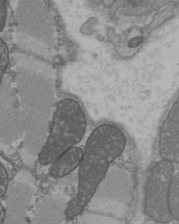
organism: C57BL Mouse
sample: Heart